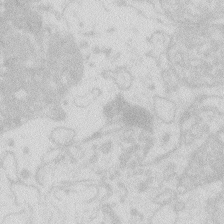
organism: Zebrafish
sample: Macrophage